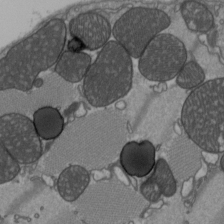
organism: C57BL Mouse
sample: Heart